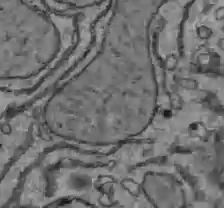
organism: C57BL Mouse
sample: Liver